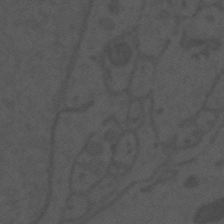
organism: Mouse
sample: Suprachiasmatic nucleus